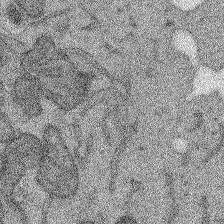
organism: Human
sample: HeLa cells